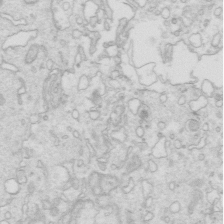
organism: Mouse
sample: Multiciliated cells